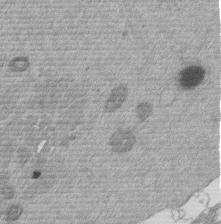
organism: Mouse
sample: Dividing mouse embryo 1 cell stage